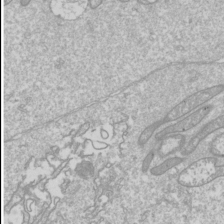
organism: Drosophila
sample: Cell division; meiosis; drosophila spermatocytes